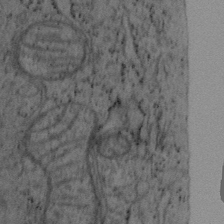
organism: Human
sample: HeLa cells